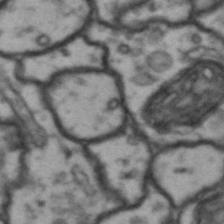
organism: Drosophila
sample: Brain